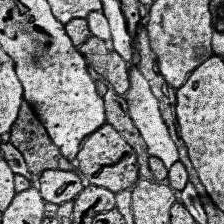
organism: Human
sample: Temporal Lobe